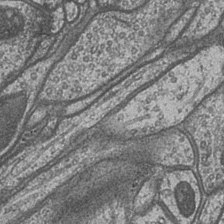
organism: Drosophila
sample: Optic medulla